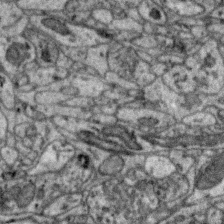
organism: Zebra finch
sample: Brain